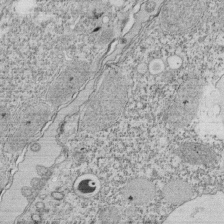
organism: Tetrahymena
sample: Cilia in tetrahymena